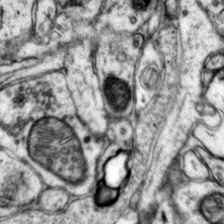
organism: Mouse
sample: Primary visual cortex